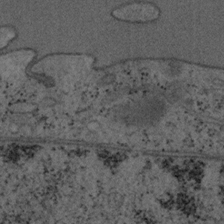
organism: Human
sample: HeLa cells